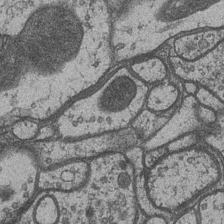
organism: Drosophila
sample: Optic medulla